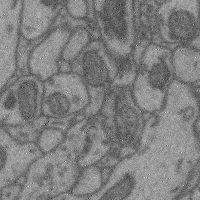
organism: Mouse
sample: Cerebral cortex